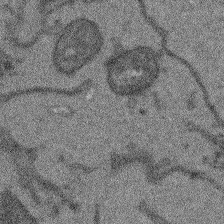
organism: Arabidopsis thaliana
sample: Root tip